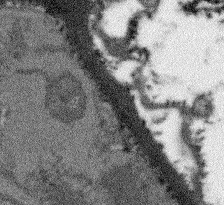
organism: Arabidopsis thaliana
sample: Root tip